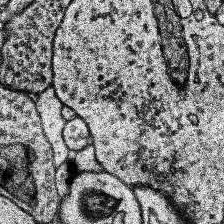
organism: Human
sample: Temporal Lobe